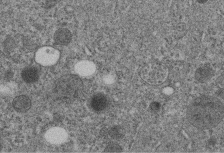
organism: C. elegans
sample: C. elegans embryo early stage